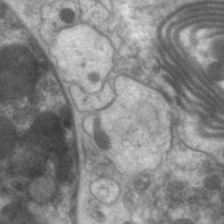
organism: C. elegans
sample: Pharynx